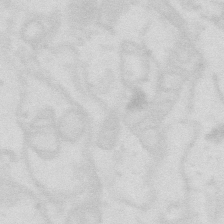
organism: Human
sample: HeLa cells